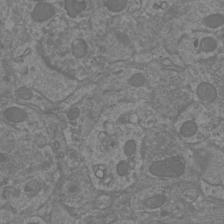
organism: Mouse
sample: Cortical neurons